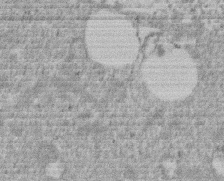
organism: Mouse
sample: Dividing mouse embryo 1 cell stage